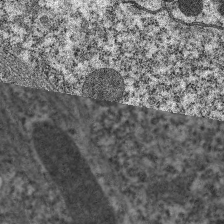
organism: C. elegans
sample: Pharynx